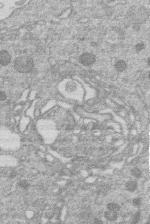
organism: Human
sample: Macrophage cells